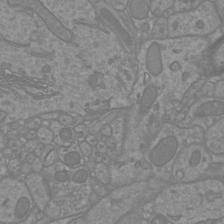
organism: Mouse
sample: Cortical neurons